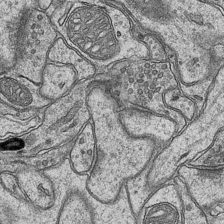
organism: Mouse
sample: CA1 Hippocampus